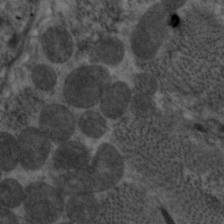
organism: C. elegans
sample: Pharynx